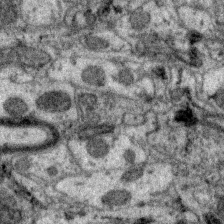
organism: Zebra finch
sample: Brain